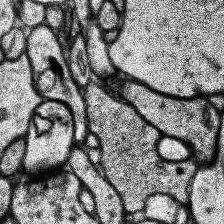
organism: Human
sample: Temporal Lobe